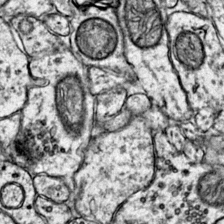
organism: Mouse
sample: Primary visual cortex